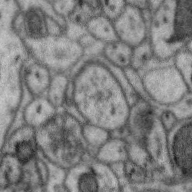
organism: Zebra finch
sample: Brain